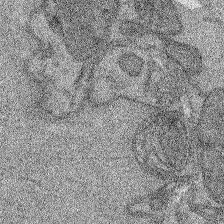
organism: Human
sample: HeLa cells